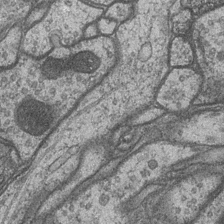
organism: Drosophila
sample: Optic medulla